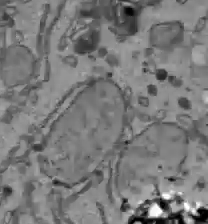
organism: C57BL Mouse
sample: Liver